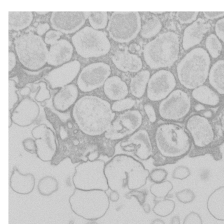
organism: Xenopus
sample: Cilia; centrioles in frog embryo cells